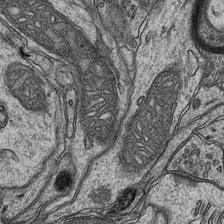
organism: Mouse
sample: CA1 Hippocampus